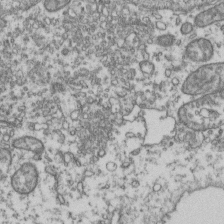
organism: Human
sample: Activated Jurkat CD4+ T cells